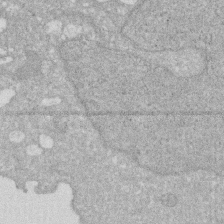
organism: Human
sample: HIV infected U937 cells